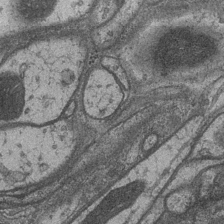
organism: Drosophila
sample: Optic medulla